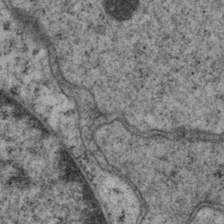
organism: P. pacificus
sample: Pharynx